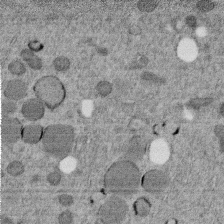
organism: C. elegans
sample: C. elegans embryo early stage